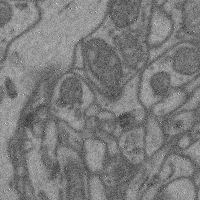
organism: Mouse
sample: Cerebral cortex